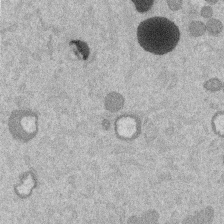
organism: Mouse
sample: Dividing mouse embryo 1 cell stage